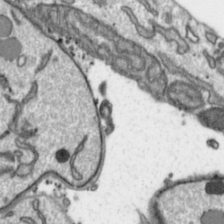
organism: Toxoplasma gondii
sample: Parasites in a vacuole inside a host cell